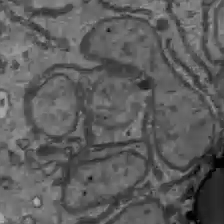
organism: C57BL Mouse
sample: Liver